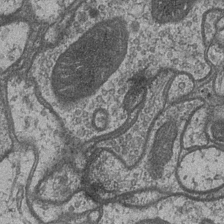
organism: Drosophila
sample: Optic medulla